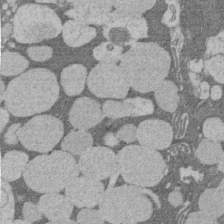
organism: Rat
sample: Salivary granule